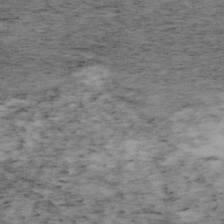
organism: Mouse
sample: OT-I killer T cells with ID8 ovarian cancer cells